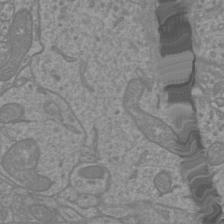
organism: Mouse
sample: Cortical neurons